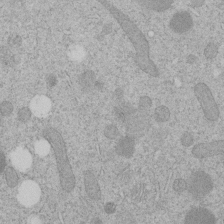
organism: C. elegans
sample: C. elegans embryo early stage